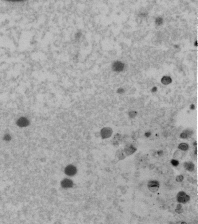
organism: Human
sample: U2-OS cells